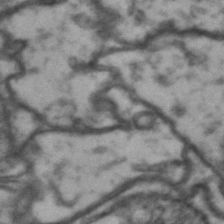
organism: Drosophila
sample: Brain